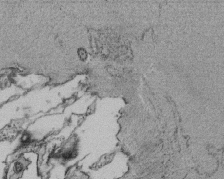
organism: Tetrahymena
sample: Cilia in tetrahymena